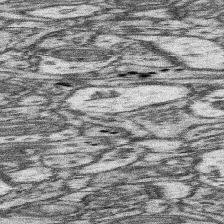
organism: Mouse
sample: Somatosensory cortex neuropil